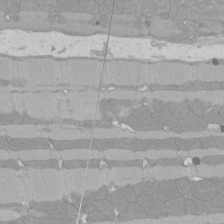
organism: Rat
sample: Left ventricle